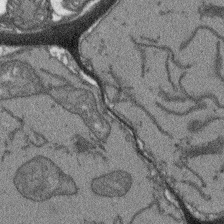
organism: Arabidopsis thaliana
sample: Root tip